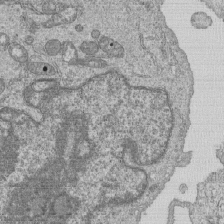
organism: Human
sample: MDA-MB-231 cells